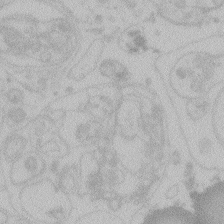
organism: Zebrafish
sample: Macrophage infected with Toxoplasma gondii